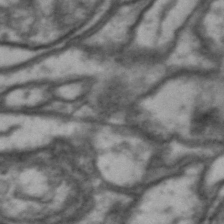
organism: Drosophila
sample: Brain